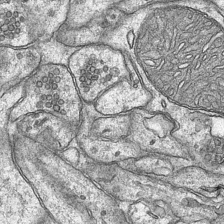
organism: Mouse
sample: CA1 Hippocampus